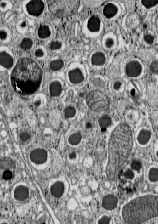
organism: C57BL Mouse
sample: Pancreatic islet